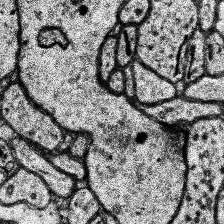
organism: Human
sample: Temporal Lobe